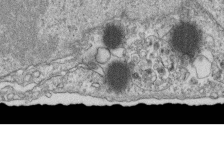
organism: Human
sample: HeLa cell HIV synapse